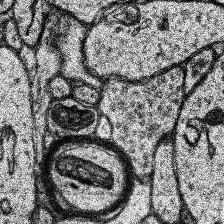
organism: Human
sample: Temporal Lobe